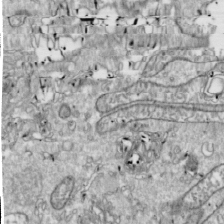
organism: Drosophila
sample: Cell division; meiosis; drosophila spermatocytes